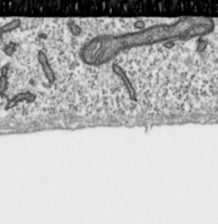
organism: Toxoplasma gondii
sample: Parasites in a vacuole inside a host cell